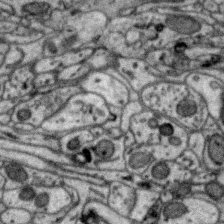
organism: Zebra finch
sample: Brain